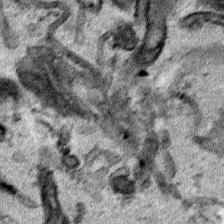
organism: Human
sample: Mitochondria in HCT116 cells